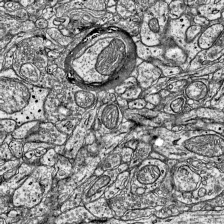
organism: Mouse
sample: Visual Cortex